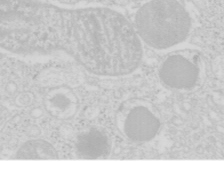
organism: Mouse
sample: Pancreas